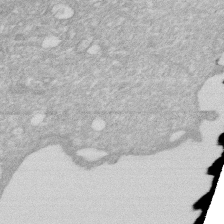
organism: Human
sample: HIV infected U937 cells